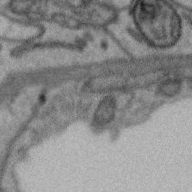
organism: Zebra finch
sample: Brain